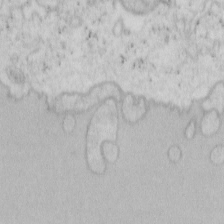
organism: Human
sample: HeLa cells